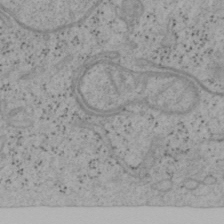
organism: Human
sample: HeLa cells